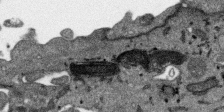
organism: Human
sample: Lung epithelial cells, uninfected (mock) control